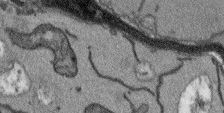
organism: Arabidopsis thaliana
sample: Root tip